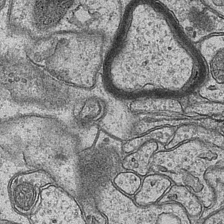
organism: Mouse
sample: CA1 Hippocampus